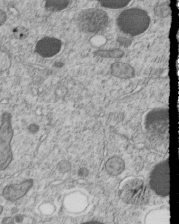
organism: C. elegans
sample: C. elegans embryo early stage